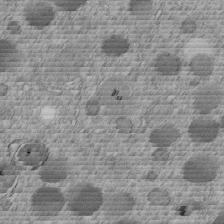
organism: C. elegans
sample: C. elegans embryo early stage